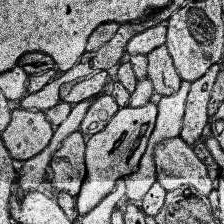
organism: Human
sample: Temporal Lobe